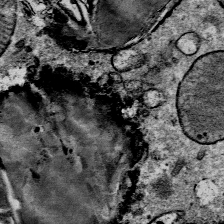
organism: Mouse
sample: Mouse Salivary gland